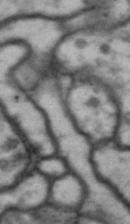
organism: Drosophila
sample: Brain